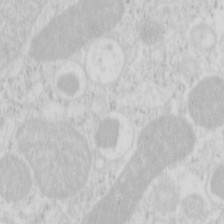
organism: Mouse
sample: Pancreas